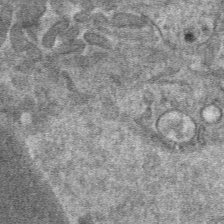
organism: Mouse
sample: Mouse hepatocytes